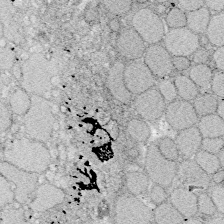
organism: Zebrafish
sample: Whole-Brain